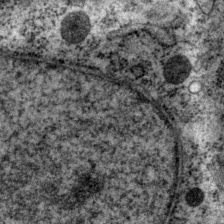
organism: P. pacificus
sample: Pharynx